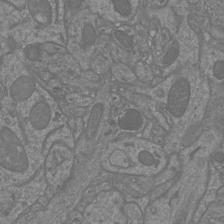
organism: Mouse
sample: Cortical neurons